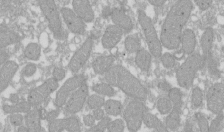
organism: Xenopus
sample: Cilia; centrioles in frog embryo cells